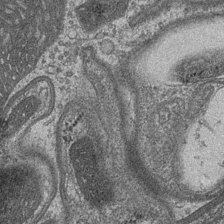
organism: Drosophila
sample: Optic medulla